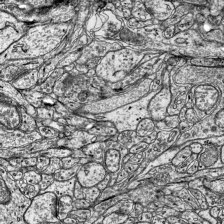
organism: Mouse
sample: Visual Cortex